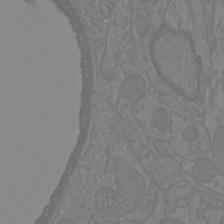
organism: Mouse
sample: Cortical neurons